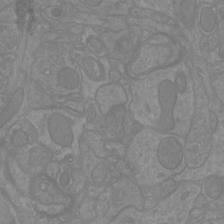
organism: Mouse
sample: Cortical neurons